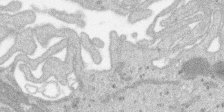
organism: Human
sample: Lung epithelial cells infected with SARS-CoV-2